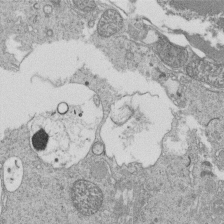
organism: Tetrahymena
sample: Cilia in tetrahymena